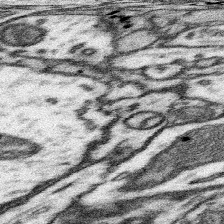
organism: Mouse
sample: Somatosensory cortex neuropil